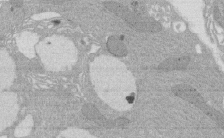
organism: Rat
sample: Salivary granule